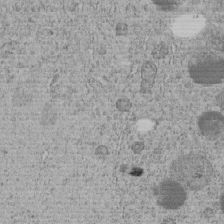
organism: C. elegans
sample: C. elegans embryo early stage